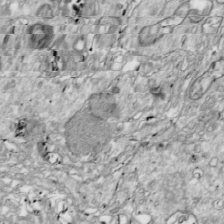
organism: Drosophila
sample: Cell division; meiosis; drosophila spermatocytes